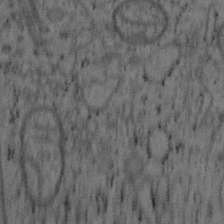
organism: Human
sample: HeLa cells